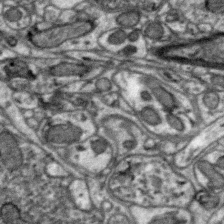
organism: Zebra finch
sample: Brain